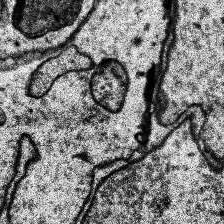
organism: Human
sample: Temporal Lobe